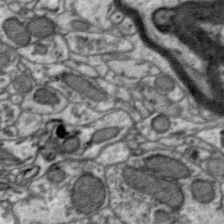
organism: Zebra finch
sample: Brain